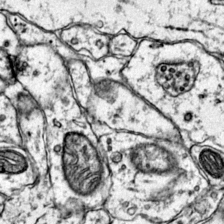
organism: Mouse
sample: Primary visual cortex